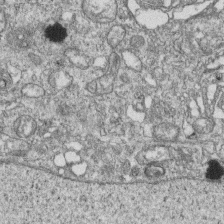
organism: Human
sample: HeLa cell HIV synapse